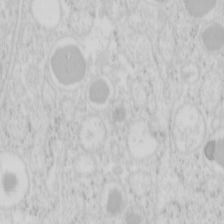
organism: Mouse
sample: Pancreas